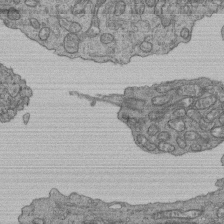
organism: Human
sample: Retinal organoid Rod and Cone cells